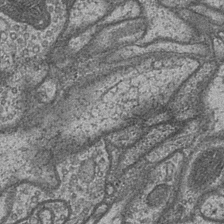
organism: Drosophila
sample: Optic medulla